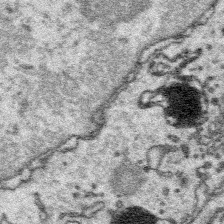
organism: Platynereis dumerilii